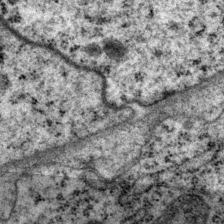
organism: P. pacificus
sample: Pharynx